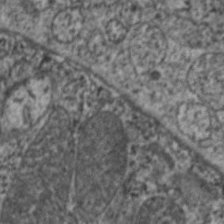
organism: C. elegans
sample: Pharynx